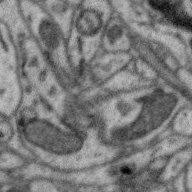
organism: Zebra finch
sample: Brain